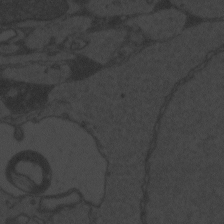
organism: Zebrafish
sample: Macrophage infected with Toxoplasma gondii